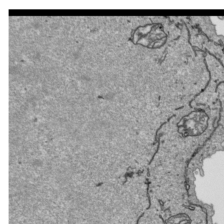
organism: Human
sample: Mitochondria in HCT116 cells